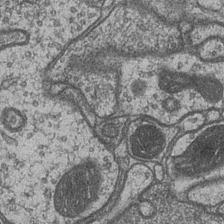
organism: Drosophila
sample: Optic medulla